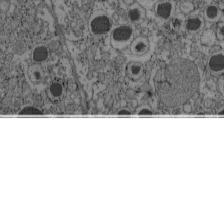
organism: C57BL Mouse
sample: Pancreatic islet